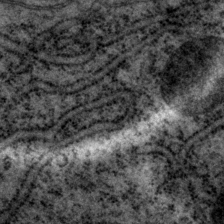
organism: P. pacificus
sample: Pharynx